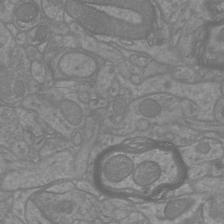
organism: Mouse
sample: Cortical neurons